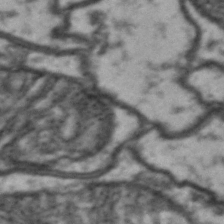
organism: Drosophila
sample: Brain